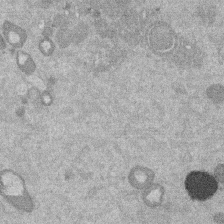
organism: Mouse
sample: Dividing mouse embryo 1 cell stage